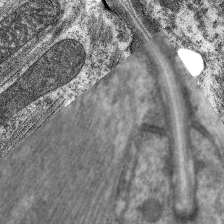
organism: C. elegans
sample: Pharynx